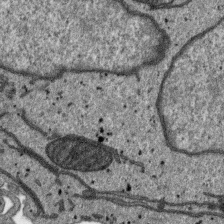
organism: Human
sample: Lung epithelial cells, uninfected (mock) control